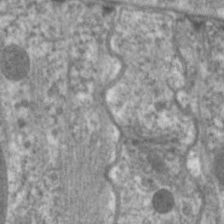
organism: C. elegans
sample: Pharynx